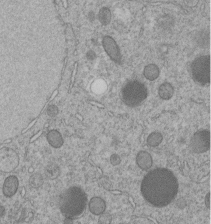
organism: C. elegans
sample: C. elegans embryo early stage